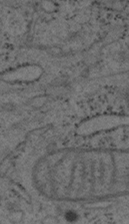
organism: Human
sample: HeLa cells